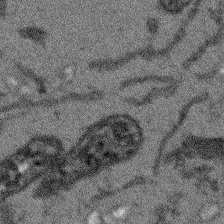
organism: Arabidopsis thaliana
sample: Root tip